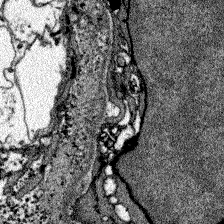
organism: Zebrafish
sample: Larval olfactory bulb